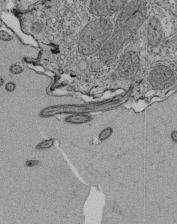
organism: Tetrahymena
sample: Cilia in tetrahymena